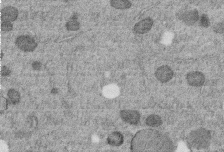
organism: C. elegans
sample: C. elegans embryo early stage